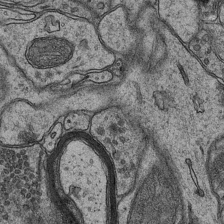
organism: Mouse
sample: CA1 Hippocampus